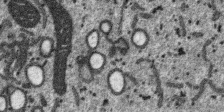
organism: Human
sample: Lung epithelial cells infected with SARS-CoV-2